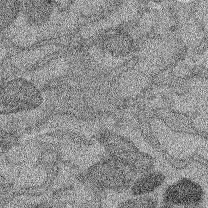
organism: Human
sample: HeLa cells